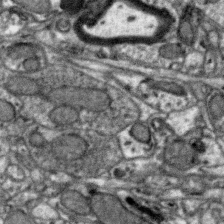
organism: Zebra finch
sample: Brain